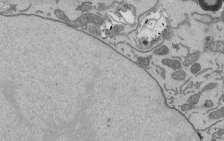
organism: Mouse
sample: ED-1 cell nuclei; centrioles